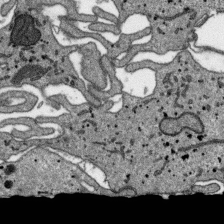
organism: Human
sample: Lung epithelial cells, uninfected (mock) control